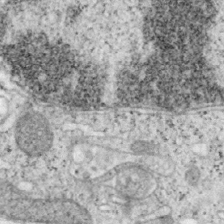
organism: Mouse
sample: OT-I killer T cells with ID8 ovarian cancer cells